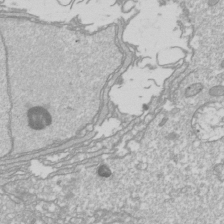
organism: Drosophila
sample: Cell division; meiosis; drosophila spermatocytes